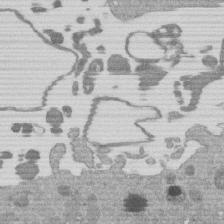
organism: Mouse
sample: Dividing mouse embryo 1 cell stage